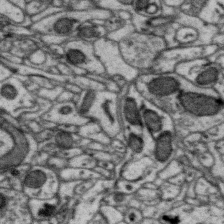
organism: Zebra finch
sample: Brain